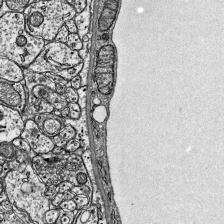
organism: Mouse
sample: Visual Cortex